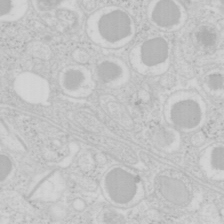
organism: Mouse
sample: Pancreas